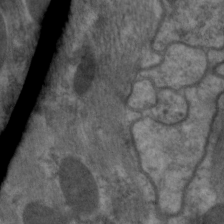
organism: C. elegans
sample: Pharynx